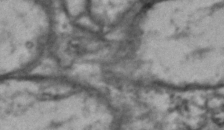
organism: Drosophila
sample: Brain